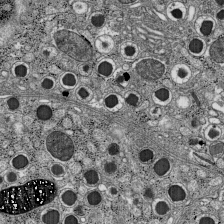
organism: C57BL Mouse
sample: Pancreatic islet